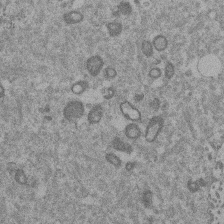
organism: Mouse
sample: Dividing mouse embryo 1 cell stage